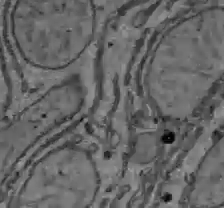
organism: C57BL Mouse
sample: Liver